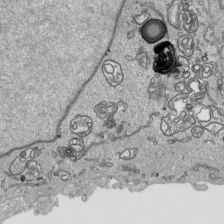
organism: Human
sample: Mitochondria in HCT116 cells